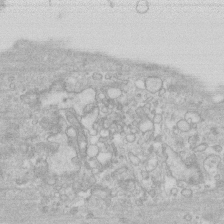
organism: Human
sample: Fibroblast cells